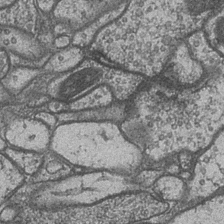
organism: Drosophila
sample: Optic medulla